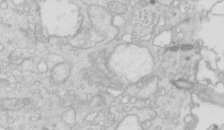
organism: Mouse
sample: Multiciliated cells